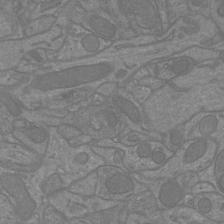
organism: Mouse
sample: Cortical neurons